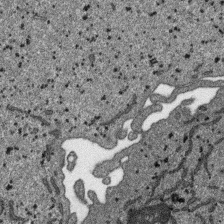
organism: Human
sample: Lung epithelial cells infected with SARS-CoV-2